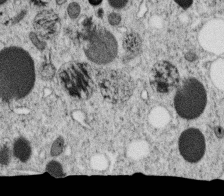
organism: C. elegans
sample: C. elegans oocyte; sperm cells